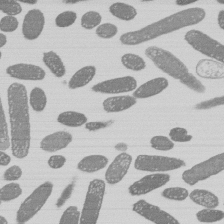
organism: E. coli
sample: Bacterial nucleoid